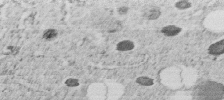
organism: C. elegans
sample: C. elegans embryo early stage